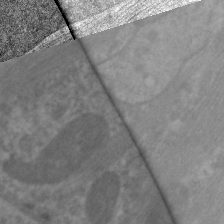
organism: C. elegans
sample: Pharynx